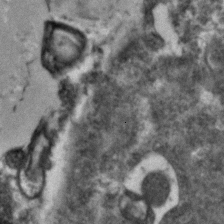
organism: Zebrafish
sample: Zebrafish embryo